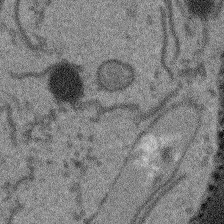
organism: Arabidopsis thaliana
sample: Root tip